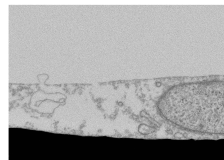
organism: Human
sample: Fibroblast cells